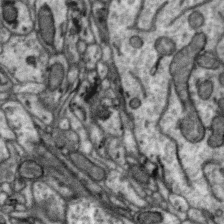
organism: Zebra finch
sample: Brain